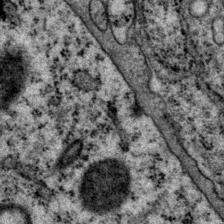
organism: P. pacificus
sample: Pharynx